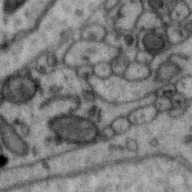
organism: Zebra finch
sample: Brain